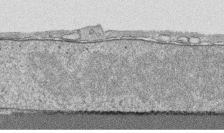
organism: Human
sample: CRL-1474